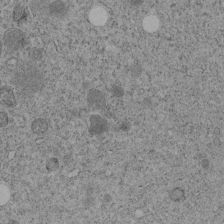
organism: C. elegans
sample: C. elegans embryo early stage